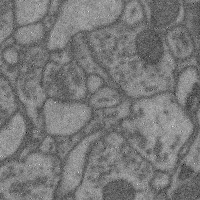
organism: Mouse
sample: Cerebral cortex